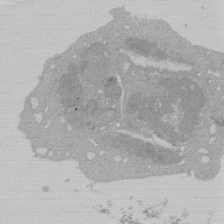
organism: Mouse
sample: Activated Pmel transgenic CD8+ T Cells